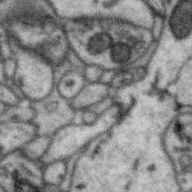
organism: Zebra finch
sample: Brain